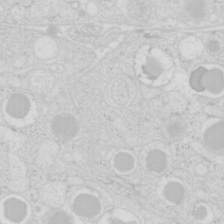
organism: Mouse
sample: Pancreas